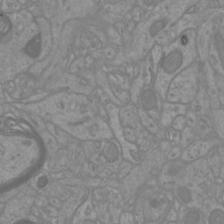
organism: Mouse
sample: Cortical neurons